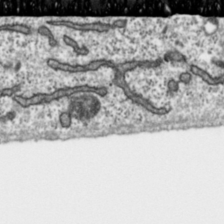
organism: Toxoplasma gondii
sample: Parasites in a vacuole inside a host cell